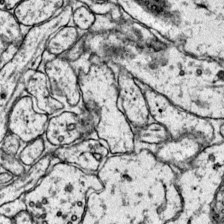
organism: Mouse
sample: Primary visual cortex